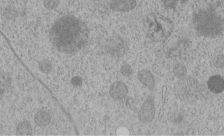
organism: C. elegans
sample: C. elegans embryo early stage